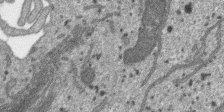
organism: Human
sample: Lung epithelial cells infected with SARS-CoV-2